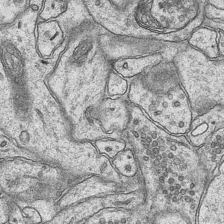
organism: Mouse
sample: CA1 Hippocampus